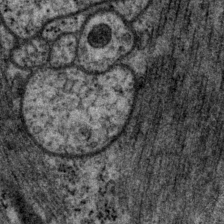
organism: P. pacificus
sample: Pharynx